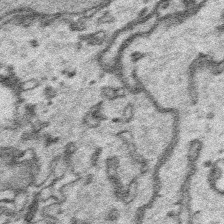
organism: Platynereis dumerilii